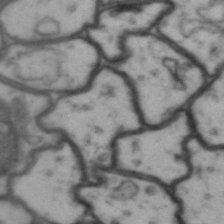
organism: Drosophila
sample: Brain